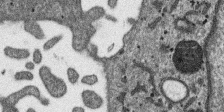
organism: Human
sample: Lung epithelial cells infected with SARS-CoV-2